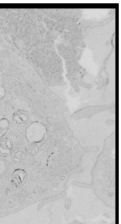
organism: Human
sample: Mitochondria in HCT116 cells